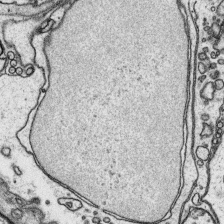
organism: Platynereis dumerilii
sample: Parapodia